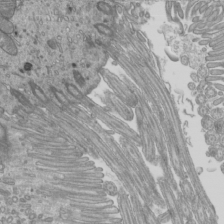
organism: Mouse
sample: Cilia; mouse epididymis